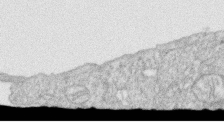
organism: Human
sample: HeLa cell HIV synapse